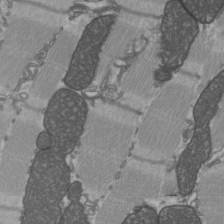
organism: C57BL Mouse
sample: Heart